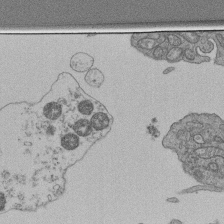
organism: Human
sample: Retinal organoid Rod and Cone cells